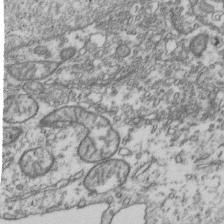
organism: Human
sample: Activated Jurkat CD4+ T cells